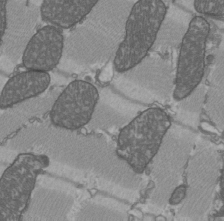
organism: C57BL Mouse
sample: Heart